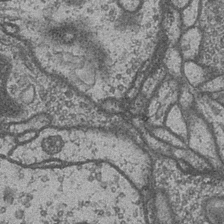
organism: Drosophila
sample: Optic medulla